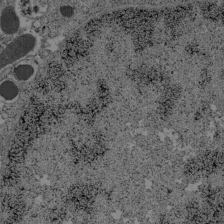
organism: C57BL Mouse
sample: Pancreatic islet